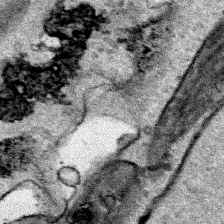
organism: Human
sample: Mitochondria in HCT116 cells